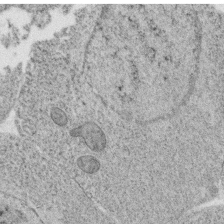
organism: C. elegans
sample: C. elegans oocyte; sperm cells